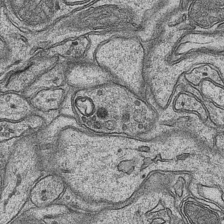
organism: Mouse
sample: CA1 Hippocampus